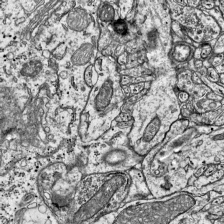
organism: Mouse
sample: Visual Cortex